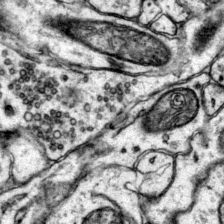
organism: Mouse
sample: Primary visual cortex